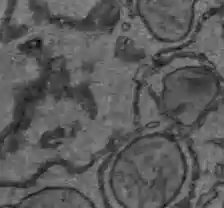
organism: C57BL Mouse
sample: Liver